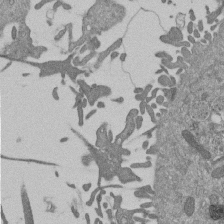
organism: Mouse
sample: ED-1 cell nuclei; centrioles